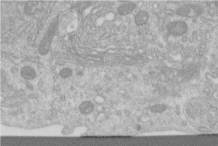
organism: Human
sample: Centriole in RPE cells